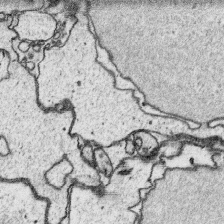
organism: Platynereis dumerilii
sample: Parapodia